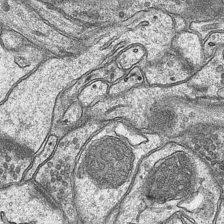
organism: Mouse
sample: CA1 Hippocampus